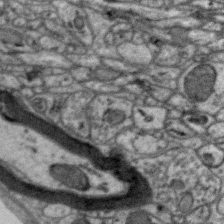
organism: Zebra finch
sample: Brain